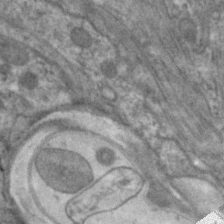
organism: C. elegans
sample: Pharynx